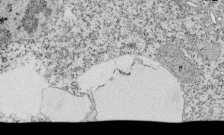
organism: Tetrahymena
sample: Cilia in tetrahymena